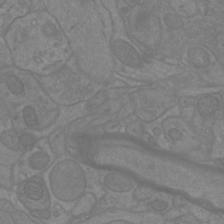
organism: Mouse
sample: Cortical neurons